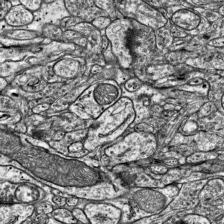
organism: Mouse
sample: Visual Cortex